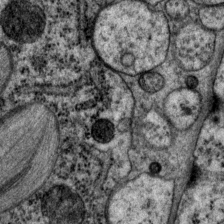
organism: P. pacificus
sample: Pharynx